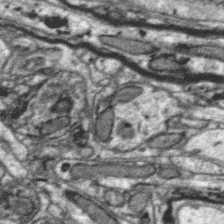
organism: Zebra finch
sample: Brain